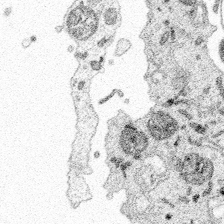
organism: Spongilla lacustris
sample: Multiple